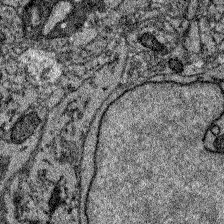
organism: Zebrafish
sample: Larval olfactory bulb